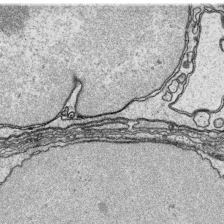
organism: Platynereis dumerilii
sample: Parapodia